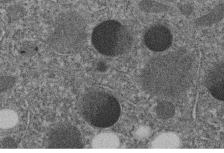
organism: C. elegans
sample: C. elegans embryo early stage